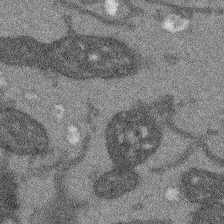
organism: Arabidopsis thaliana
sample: Root tip